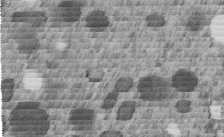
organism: C. elegans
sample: C. elegans embryo early stage